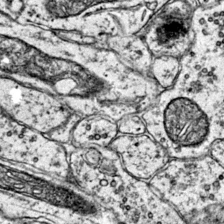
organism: Mouse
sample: Primary visual cortex